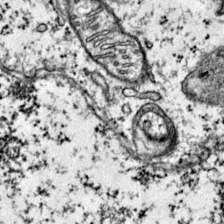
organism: Mouse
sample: Primary visual cortex